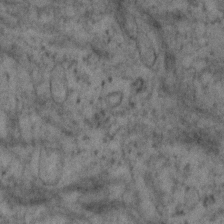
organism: Human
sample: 1205lu cells